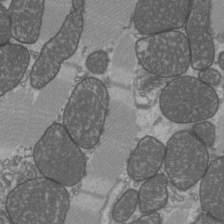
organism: C57BL Mouse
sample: Heart